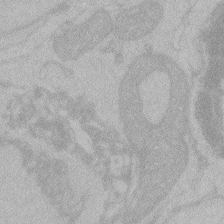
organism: Zebrafish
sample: Macrophage infected with Toxoplasma gondii